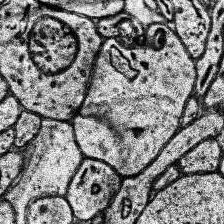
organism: Human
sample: Temporal Lobe